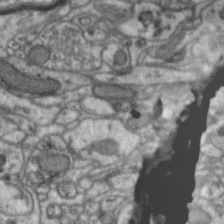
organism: Zebra finch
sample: Brain